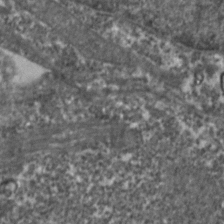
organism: Zebrafish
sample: Zebrafish embryo